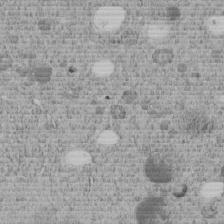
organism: C. elegans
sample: C. elegans embryo early stage